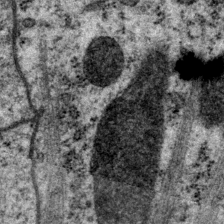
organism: P. pacificus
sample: Pharynx